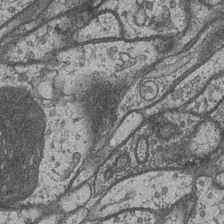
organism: Drosophila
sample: Optic medulla